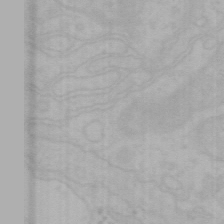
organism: Mouse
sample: Choroid plexus